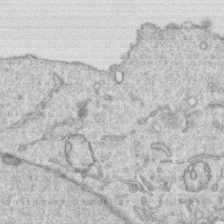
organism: Human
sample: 1205lu cells